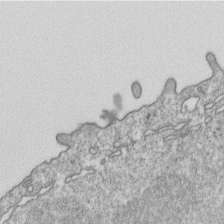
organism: Mouse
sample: Activated OT-1 CD8+ T cells